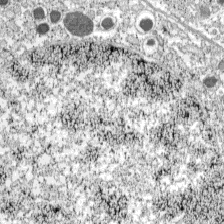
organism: C57BL Mouse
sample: Pancreatic islet